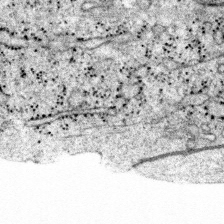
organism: Human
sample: HeLa cells